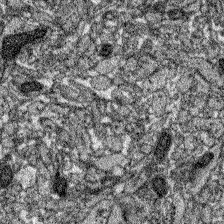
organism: Zebrafish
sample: Larval olfactory bulb